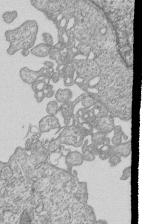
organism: Human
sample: MDA-MB-231 cells